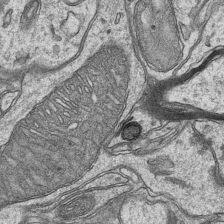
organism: Mouse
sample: CA1 Hippocampus